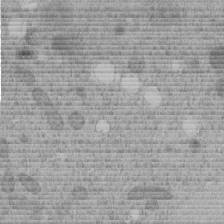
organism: C. elegans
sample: C. elegans embryo early stage